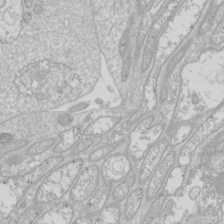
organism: Drosophila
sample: Cell division; meiosis; drosophila spermatocytes